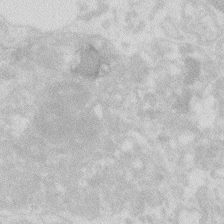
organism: Zebrafish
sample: Macrophage